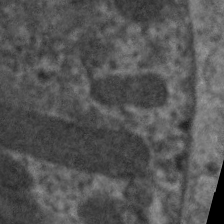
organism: C. elegans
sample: Pharynx